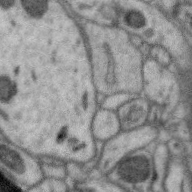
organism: Zebra finch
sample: Brain